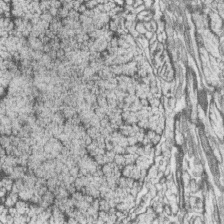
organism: Zebrafish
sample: synaptic ribbons in rod cells and cone cells